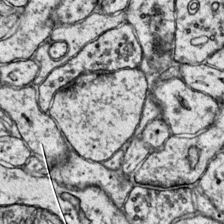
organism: Mouse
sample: Primary visual cortex